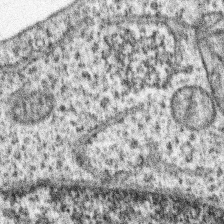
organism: Human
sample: HeLa cells